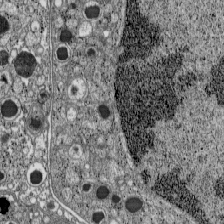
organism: C57BL Mouse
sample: Pancreatic islet